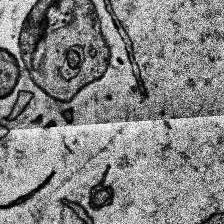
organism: Human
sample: Temporal Lobe